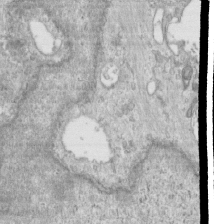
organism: Human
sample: Centriole in RPE cells